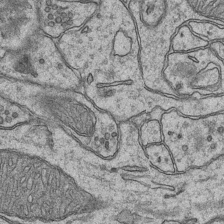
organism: Mouse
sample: CA1 Hippocampus